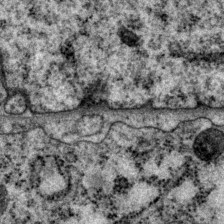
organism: P. pacificus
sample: Pharynx